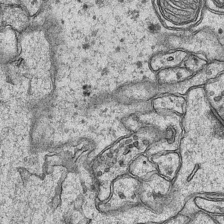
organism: Mouse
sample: CA1 Hippocampus